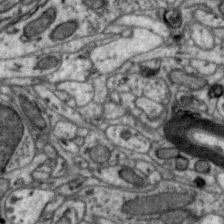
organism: Zebra finch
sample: Brain